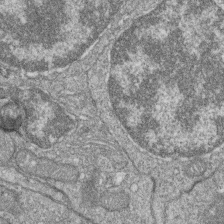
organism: Zebrafish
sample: Cilia; retinal pigment epithelium